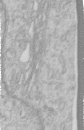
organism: Human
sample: Centriole in RPE cells